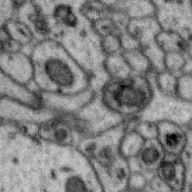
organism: Zebra finch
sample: Brain